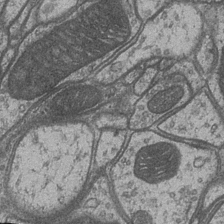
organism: Drosophila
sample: Optic medulla